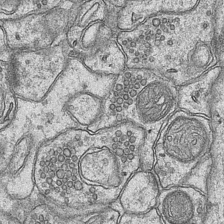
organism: Mouse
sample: CA1 Hippocampus